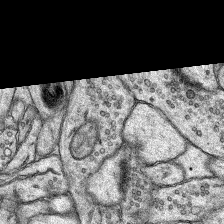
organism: Rat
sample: Hippocampus